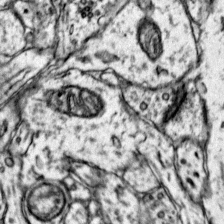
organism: Mouse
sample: Primary visual cortex